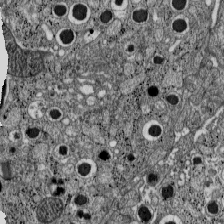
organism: C57BL Mouse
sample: Pancreatic islet